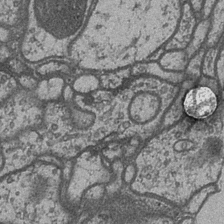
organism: Drosophila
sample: Optic medulla